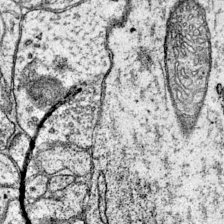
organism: Mouse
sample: Primary visual cortex